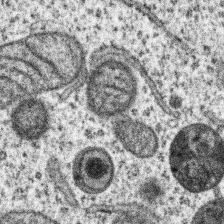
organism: Human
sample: HeLa cells